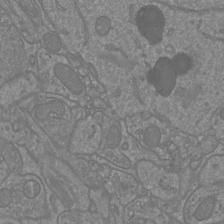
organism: Mouse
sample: Cortical neurons